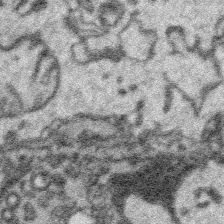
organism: Platynereis dumerilii